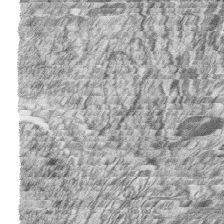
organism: Zebrafish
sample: synaptic ribbons in rod cells and cone cells